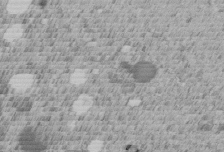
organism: C. elegans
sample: C. elegans embryo early stage